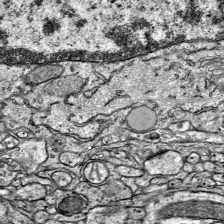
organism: Mouse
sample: Visual Cortex